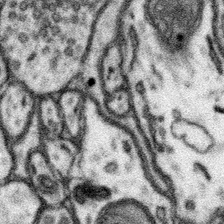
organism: Mouse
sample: Somatosensory cortex neuropil